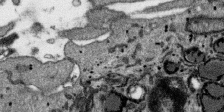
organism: Human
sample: Lung epithelial cells, uninfected (mock) control